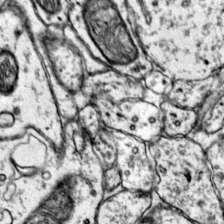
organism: Mouse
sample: Primary visual cortex